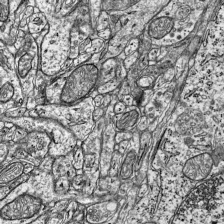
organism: Mouse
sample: Visual Cortex